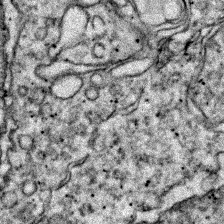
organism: Zebrafish